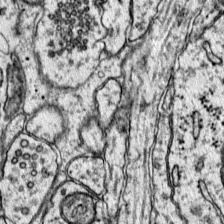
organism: Mouse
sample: Primary visual cortex